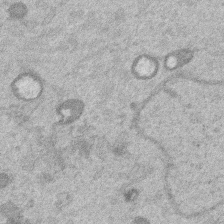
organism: Mouse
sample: Dividing mouse embryo 1 cell stage